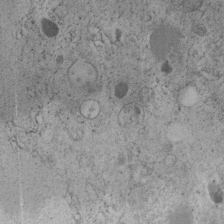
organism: C. elegans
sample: C. elegans embryo early stage